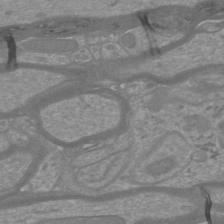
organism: Mouse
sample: Cortical neurons